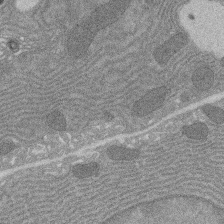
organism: Rat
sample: Salivary granule